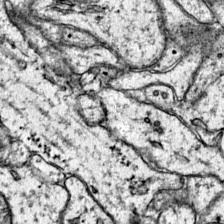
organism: Mouse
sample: Primary visual cortex